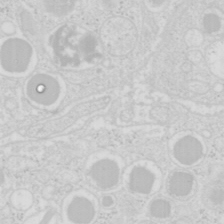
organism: Mouse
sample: Pancreas